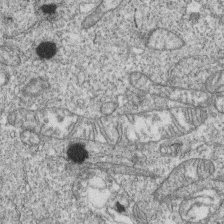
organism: Human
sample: HeLa cell HIV synapse